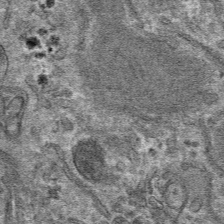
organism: Mouse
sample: Mouse hepatocytes